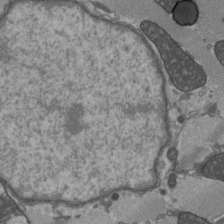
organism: C57BL Mouse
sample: Heart